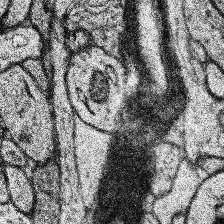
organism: Human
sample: Temporal Lobe